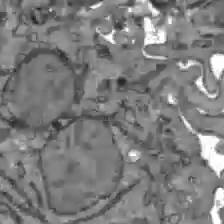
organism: C57BL Mouse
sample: Liver